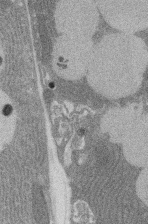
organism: Rat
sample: Salivary granule